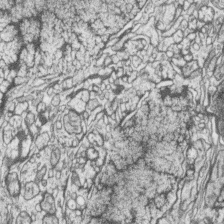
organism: Zebrafish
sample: synaptic ribbons in rod cells and cone cells